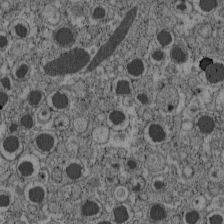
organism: C57BL Mouse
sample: Pancreatic islet